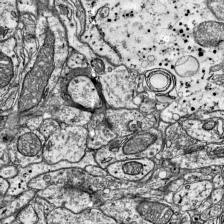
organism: Mouse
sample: Visual Cortex